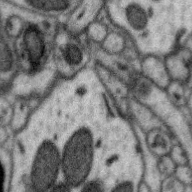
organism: Zebra finch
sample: Brain